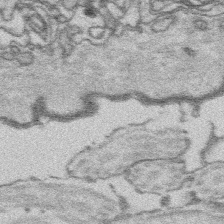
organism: Platynereis dumerilii